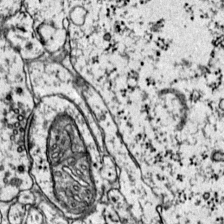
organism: Mouse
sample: Primary visual cortex